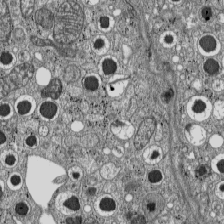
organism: C57BL Mouse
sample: Pancreatic islet